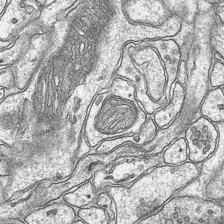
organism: Mouse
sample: CA1 Hippocampus